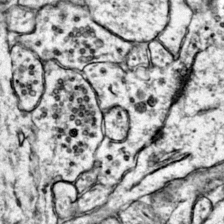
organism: Mouse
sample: Primary visual cortex